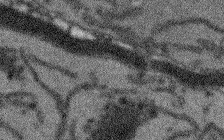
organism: Arabidopsis thaliana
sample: Root tip